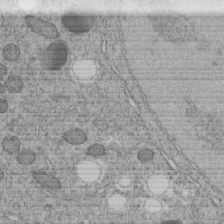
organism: C. elegans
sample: C. elegans embryo early stage